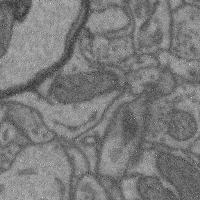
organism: Mouse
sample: Cerebral cortex